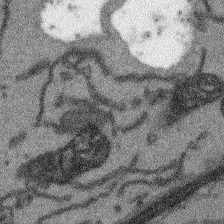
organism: Arabidopsis thaliana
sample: Root tip